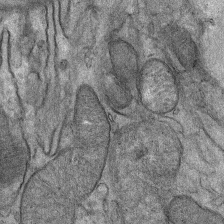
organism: Mouse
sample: Mouse Salivary gland